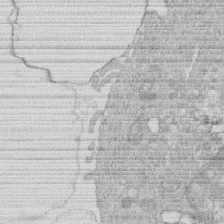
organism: Human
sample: Macrophage cells